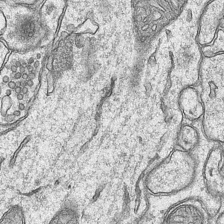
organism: Mouse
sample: CA1 Hippocampus